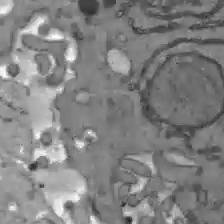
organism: C57BL Mouse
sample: Liver